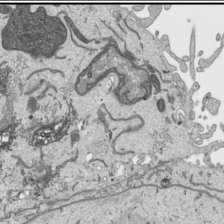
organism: Human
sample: Mitochondria in HCT116 cells